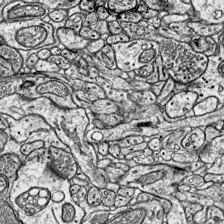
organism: Mouse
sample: Visual Cortex